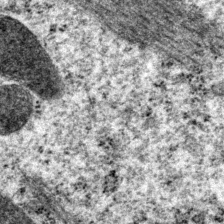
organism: P. pacificus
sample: Pharynx